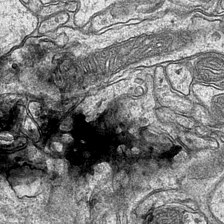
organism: Mouse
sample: CA1 Hippocampus